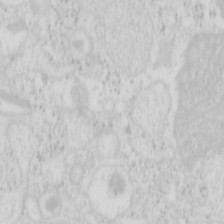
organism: Mouse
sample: Pancreas